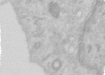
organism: Human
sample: Centriole in RPE cells